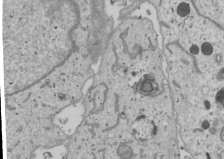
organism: Human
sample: Mitochondria in U2OS cells